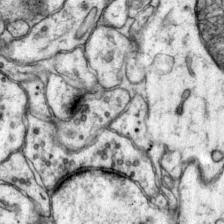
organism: Mouse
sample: Primary visual cortex